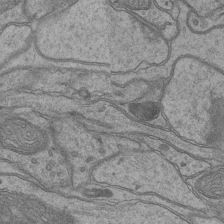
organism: Mouse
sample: CA1 Hippocampus